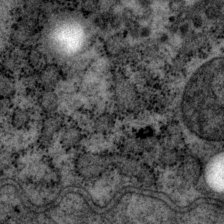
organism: P. pacificus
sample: Pharynx